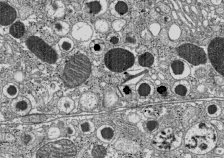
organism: C57BL Mouse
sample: Pancreatic islet